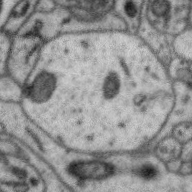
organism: Zebra finch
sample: Brain